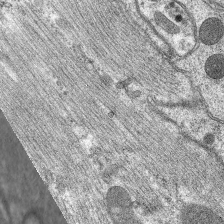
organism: C. elegans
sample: Pharynx